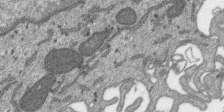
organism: Human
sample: Lung epithelial cells infected with SARS-CoV-2